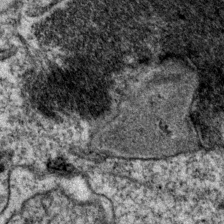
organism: P. pacificus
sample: Pharynx